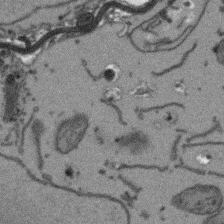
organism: Arabidopsis thaliana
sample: Root tip